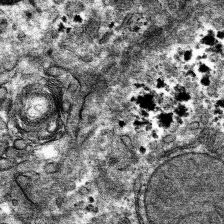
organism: Mouse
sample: Mouse hepatocytes